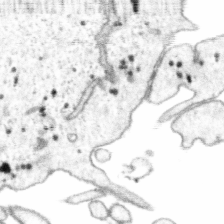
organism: Human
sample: HeLa cells